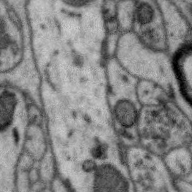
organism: Zebra finch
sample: Brain